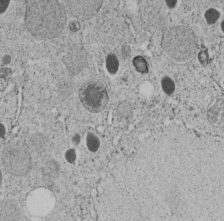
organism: C. elegans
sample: C. elegans embryo early stage